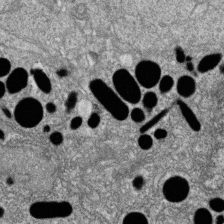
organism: Zebrafish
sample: Cilia; retinal pigment epithelium